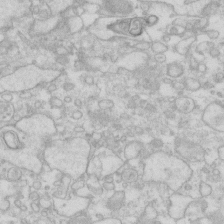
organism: Human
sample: Fibroblast cells